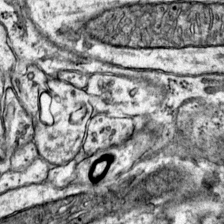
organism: Mouse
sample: Primary visual cortex